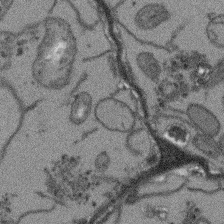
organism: Arabidopsis thaliana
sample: Root tip